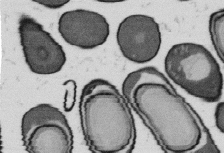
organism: B. subtilis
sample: Bacterial spore